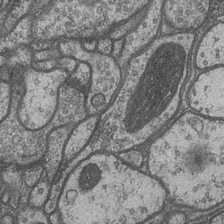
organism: Drosophila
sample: Optic medulla